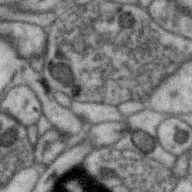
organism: Zebra finch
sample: Brain